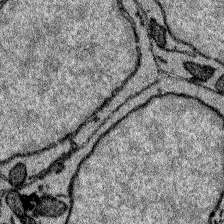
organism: Zebrafish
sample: Larval olfactory bulb